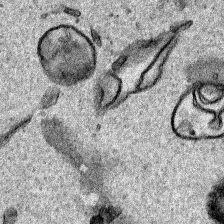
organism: Human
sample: Mitochondria in HCT116 cells